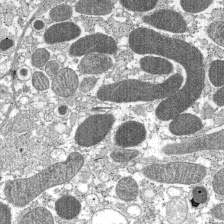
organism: C57BL Mouse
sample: Pancreatic islet